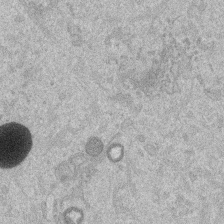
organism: Mouse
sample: Dividing mouse embryo 1 cell stage